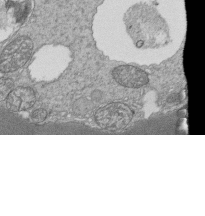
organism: Tetrahymena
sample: Cilia in tetrahymena